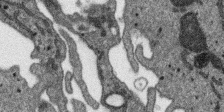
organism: Human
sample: Lung epithelial cells infected with SARS-CoV-2